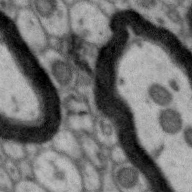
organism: Zebra finch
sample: Brain